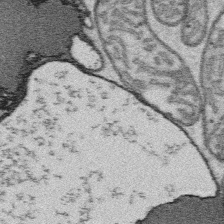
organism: Platynereis dumerilii